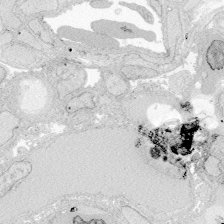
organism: Zebrafish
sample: Whole-Brain